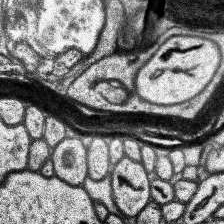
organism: Human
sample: Temporal Lobe